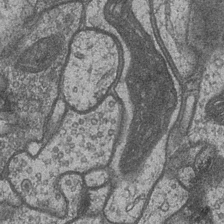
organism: Drosophila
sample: Optic medulla